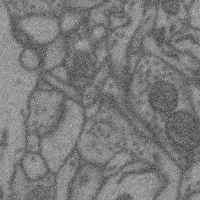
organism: Mouse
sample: Cerebral cortex